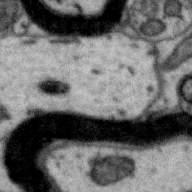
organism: Zebra finch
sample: Brain